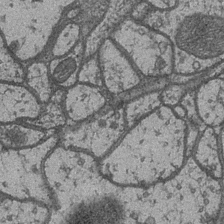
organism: Drosophila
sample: Optic medulla